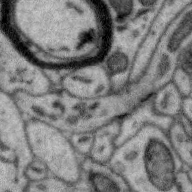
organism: Zebra finch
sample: Brain